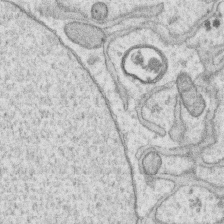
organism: Human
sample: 1205lu cells